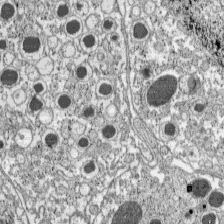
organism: C57BL Mouse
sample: Pancreatic islet